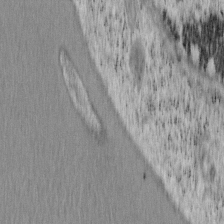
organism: Human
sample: HeLa cells